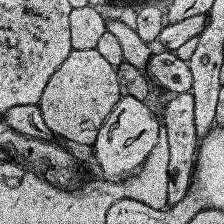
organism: Human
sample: Temporal Lobe